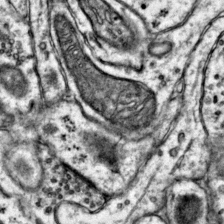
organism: Mouse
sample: Primary visual cortex